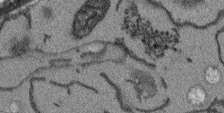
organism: Arabidopsis thaliana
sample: Root tip